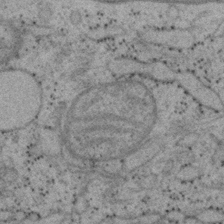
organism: Human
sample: HeLa cells